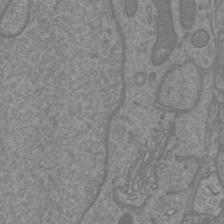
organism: Mouse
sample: Cortical neurons